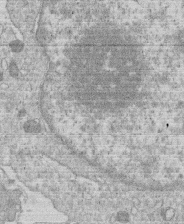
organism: Human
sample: Macrophage cells